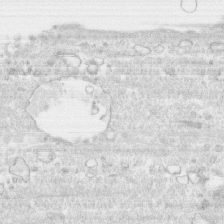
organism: Human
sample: CRL-1474